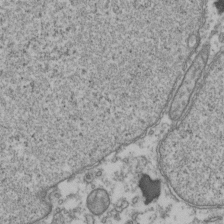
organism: Human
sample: Activated Jurkat CD4+ T cells